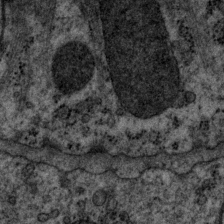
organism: P. pacificus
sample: Pharynx